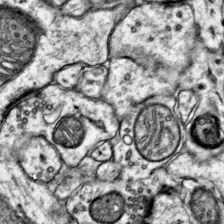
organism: Mouse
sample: Primary visual cortex